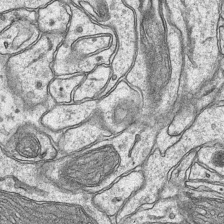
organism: Mouse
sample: CA1 Hippocampus